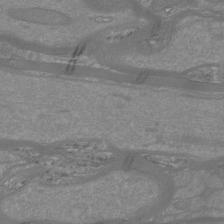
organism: Mouse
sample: Cortical neurons